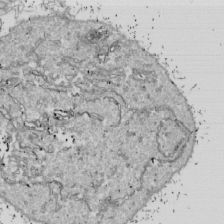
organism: Drosophila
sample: Cell division; meiosis; drosophila spermatocytes